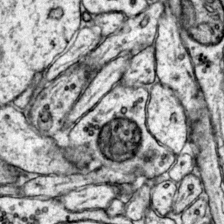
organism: Mouse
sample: Primary visual cortex